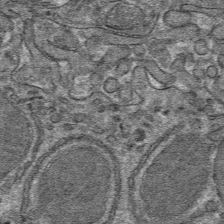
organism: Mouse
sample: Mouse hepatocytes